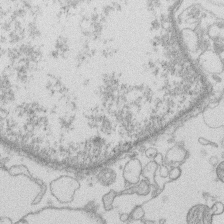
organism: Human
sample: Macrophage cells